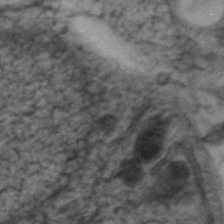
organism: Zebrafish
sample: Zebrafish embryo